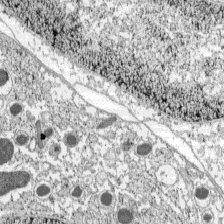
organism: C57BL Mouse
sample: Pancreatic islet